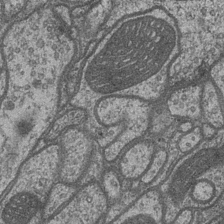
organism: Drosophila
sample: Optic medulla